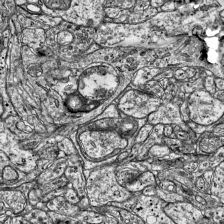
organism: Mouse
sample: Visual Cortex